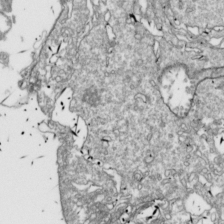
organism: Drosophila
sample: Cell division; meiosis; drosophila spermatocytes